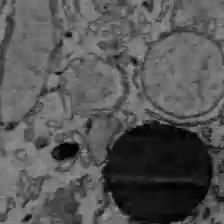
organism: C57BL Mouse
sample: Liver